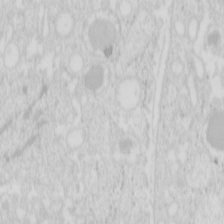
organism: Mouse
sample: Pancreas